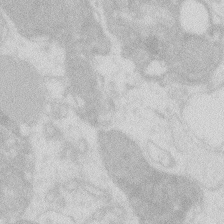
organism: Zebrafish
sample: Macrophage